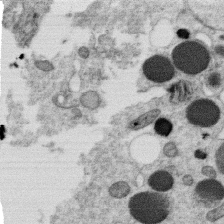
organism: C. elegans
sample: C. elegans oocyte; sperm cells